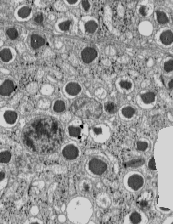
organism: C57BL Mouse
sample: Pancreatic islet